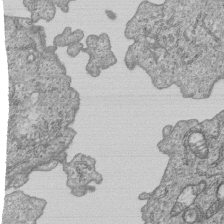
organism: Human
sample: MDA-MB-231 cells